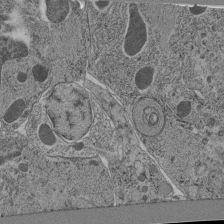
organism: C. elegans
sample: C. elegans pharynx